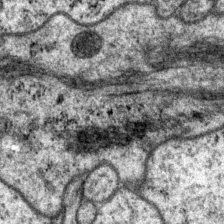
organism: P. pacificus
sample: Pharynx